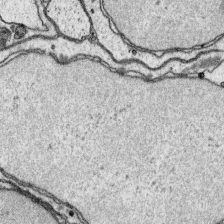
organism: Platynereis dumerilii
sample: Parapodia